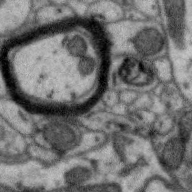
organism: Zebra finch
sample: Brain